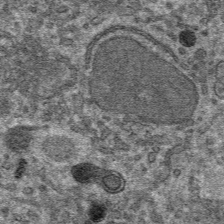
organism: Mouse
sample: Mouse hepatocytes